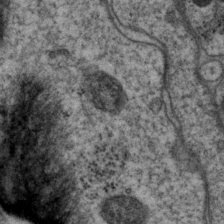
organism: P. pacificus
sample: Pharynx